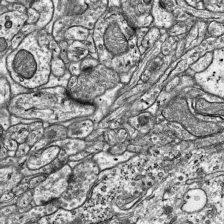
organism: Mouse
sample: Visual Cortex